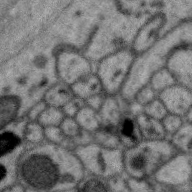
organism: Zebra finch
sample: Brain